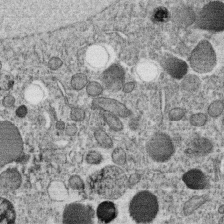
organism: C. elegans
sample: C. elegans oocyte; sperm cells